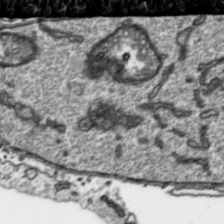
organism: Toxoplasma gondii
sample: Parasites in a vacuole inside a host cell